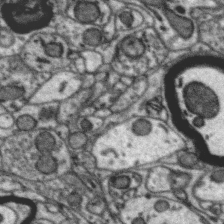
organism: Zebra finch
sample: Brain